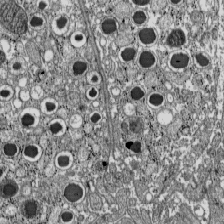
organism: C57BL Mouse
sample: Pancreatic islet